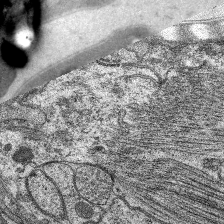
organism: C. elegans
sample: Pharynx